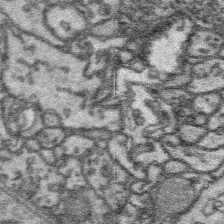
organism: Platynereis dumerilii